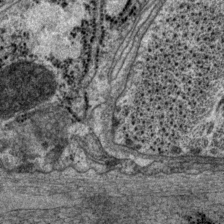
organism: P. pacificus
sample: Pharynx